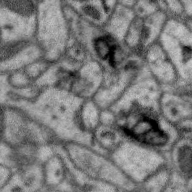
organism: Zebra finch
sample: Brain